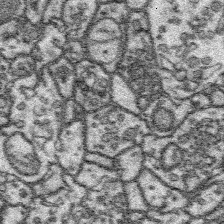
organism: Platynereis dumerilii